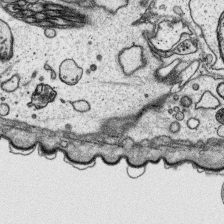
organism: Platynereis dumerilii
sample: Parapodia